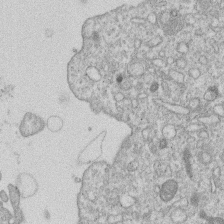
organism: Human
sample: Macrophage cells